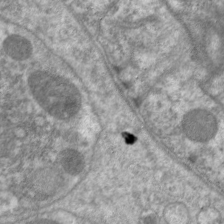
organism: C. elegans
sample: Pharynx